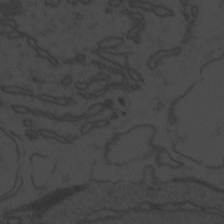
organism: Zebrafish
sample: Macrophage infected with Toxoplasma gondii